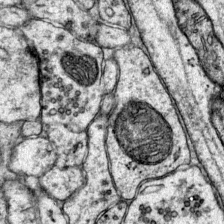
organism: Mouse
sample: Primary visual cortex